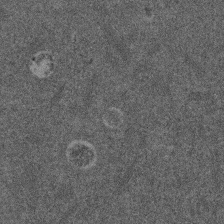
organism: Mouse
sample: Dividing mouse embryo 1 cell stage